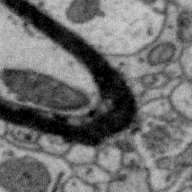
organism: Zebra finch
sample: Brain